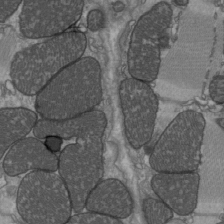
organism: C57BL Mouse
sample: Heart